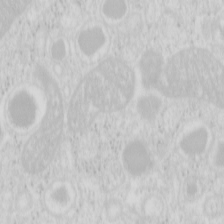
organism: Mouse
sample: Pancreas